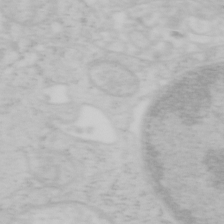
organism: Mouse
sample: OT-I killer T cells with ID8 ovarian cancer cells